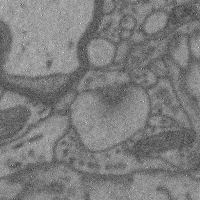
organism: Mouse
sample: Cerebral cortex